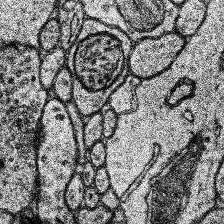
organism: Human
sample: Temporal Lobe